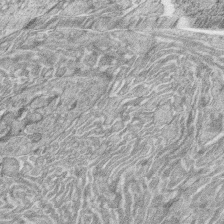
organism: Zebrafish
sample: synaptic ribbons in rod cells and cone cells